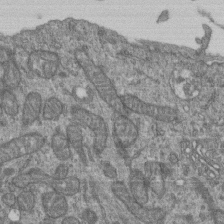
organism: Human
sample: Retinal organoid Rod and Cone cells